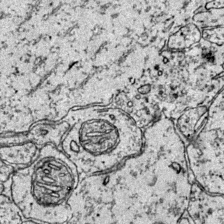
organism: Mouse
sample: Primary visual cortex